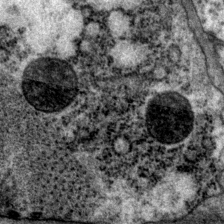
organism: P. pacificus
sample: Pharynx